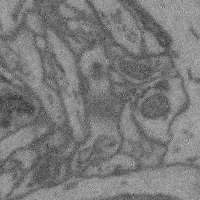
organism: Mouse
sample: Cerebral cortex